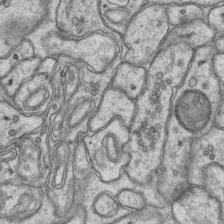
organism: Mouse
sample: CA1 Hippocampus